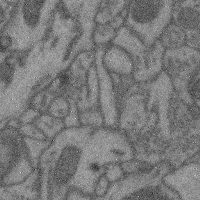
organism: Mouse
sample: Cerebral cortex